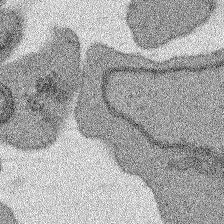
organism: Human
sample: HeLa cells